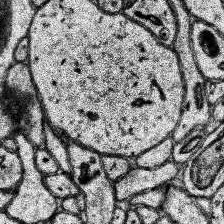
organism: Human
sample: Temporal Lobe